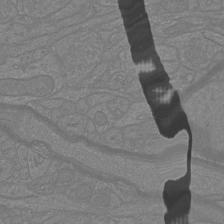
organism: Mouse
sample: Cortical neurons